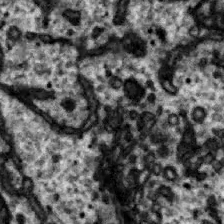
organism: Human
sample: HeLa cells